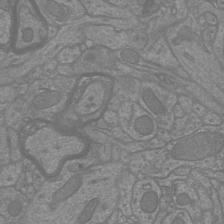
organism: Mouse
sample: Cortical neurons